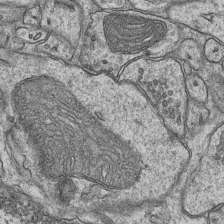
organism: Mouse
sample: CA1 Hippocampus